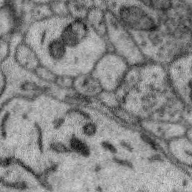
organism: Zebra finch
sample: Brain